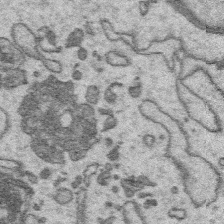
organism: Platynereis dumerilii